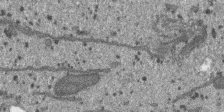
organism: Human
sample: Lung epithelial cells infected with SARS-CoV-2